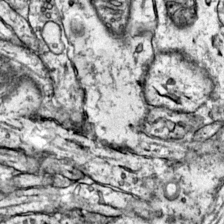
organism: Mouse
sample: Primary visual cortex